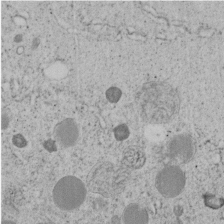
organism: C. elegans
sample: C. elegans embryo early stage